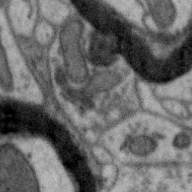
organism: Zebra finch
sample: Brain